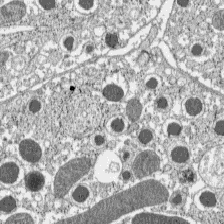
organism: C57BL Mouse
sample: Pancreatic islet